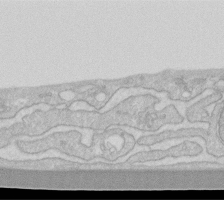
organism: Human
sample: Fibroblast cells